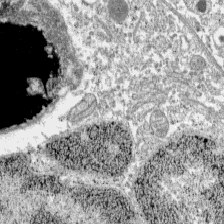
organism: C57BL Mouse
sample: Pancreatic islet